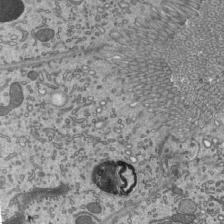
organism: Mouse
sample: Mouse epididymis efferent ductule cilia